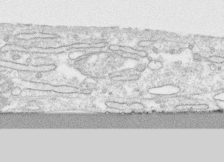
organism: Human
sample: CRL-1474